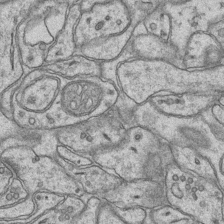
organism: Mouse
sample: CA1 Hippocampus